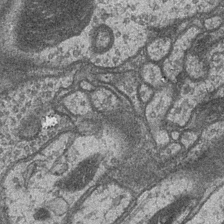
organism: Drosophila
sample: Optic medulla